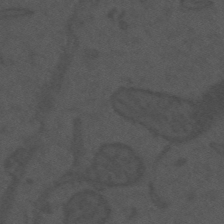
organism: Mouse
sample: Suprachiasmatic nucleus